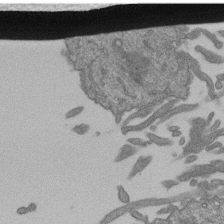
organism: Human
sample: Retinal organoid Rod and Cone cells